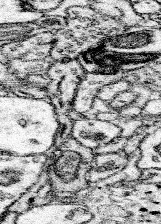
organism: Mouse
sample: Somatosensory cortex neuropil